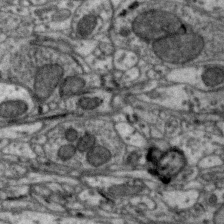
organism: Zebra finch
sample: Brain